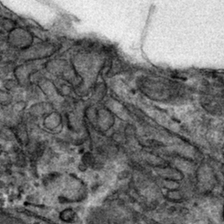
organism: Mouse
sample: Mouse hepatocytes